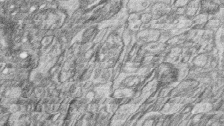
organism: Zebrafish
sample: synaptic ribbons in rod cells and cone cells